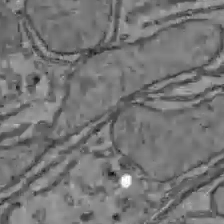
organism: C57BL Mouse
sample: Liver